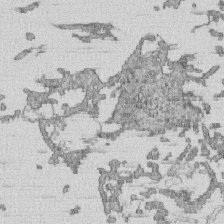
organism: Human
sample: HeLa cell HIV synapse